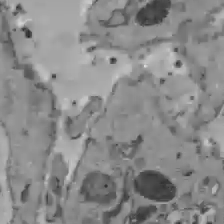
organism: C57BL Mouse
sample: Liver